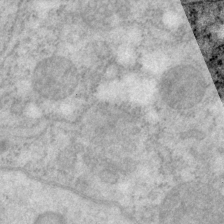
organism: P. pacificus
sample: Pharynx